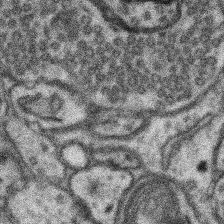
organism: Mouse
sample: Somatosensory cortex neuropil